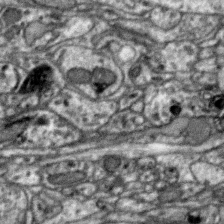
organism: Zebra finch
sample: Brain